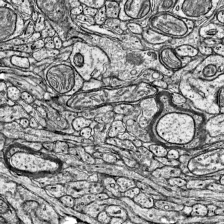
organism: Mouse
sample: Visual Cortex